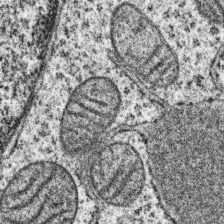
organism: Human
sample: HeLa cells